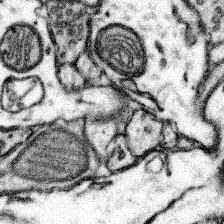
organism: Mouse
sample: Somatosensory cortex neuropil